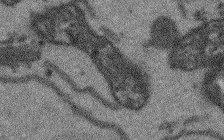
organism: Arabidopsis thaliana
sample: Root tip